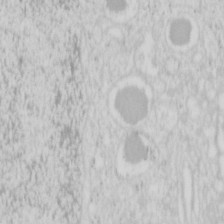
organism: Mouse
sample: Pancreas